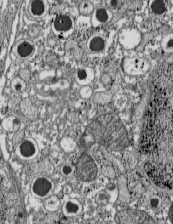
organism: C57BL Mouse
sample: Pancreatic islet